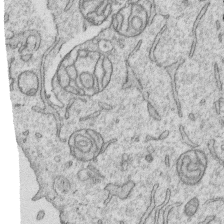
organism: Human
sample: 1205lu cells